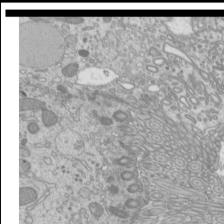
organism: Mouse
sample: Cilia; mouse epididymis